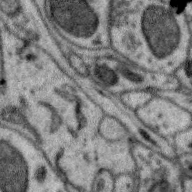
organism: Zebra finch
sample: Brain